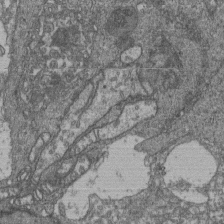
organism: Human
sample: Retinal organoid Rod and Cone cells